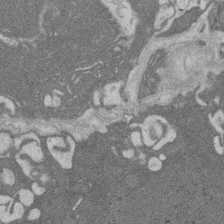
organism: Rat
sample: Salivary granule